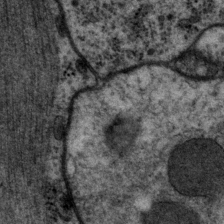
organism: P. pacificus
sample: Pharynx